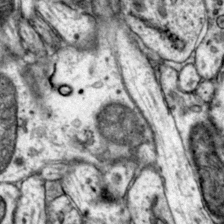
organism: Mouse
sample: Primary visual cortex